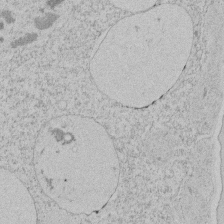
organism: Tetrahymena